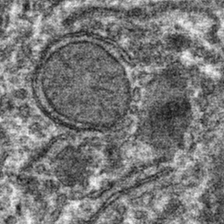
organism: Mouse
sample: Mouse hepatocytes